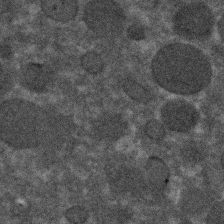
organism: C. elegans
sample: C. elegans embryo